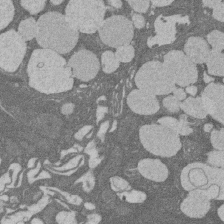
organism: Rat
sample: Salivary granule